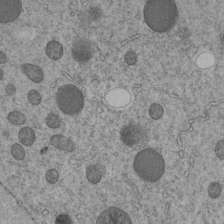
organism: C. elegans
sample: C. elegans embryo early stage